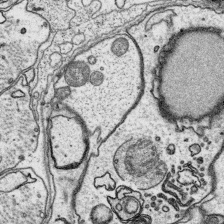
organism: Platynereis dumerilii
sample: Parapodia